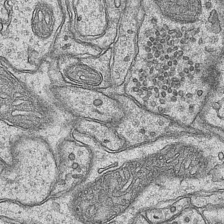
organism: Mouse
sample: CA1 Hippocampus